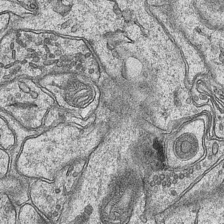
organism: Mouse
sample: CA1 Hippocampus